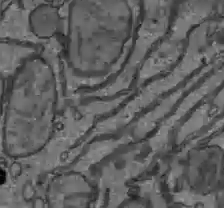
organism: C57BL Mouse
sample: Liver